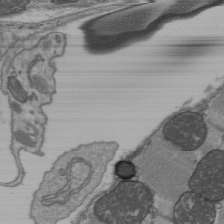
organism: C57BL Mouse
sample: Heart